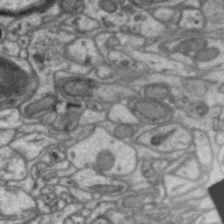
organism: Zebra finch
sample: Brain